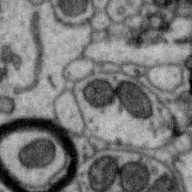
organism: Zebra finch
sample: Brain